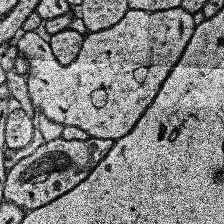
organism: Human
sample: Temporal Lobe